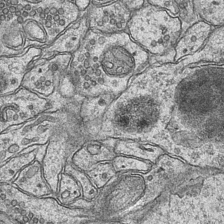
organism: Mouse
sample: CA1 Hippocampus